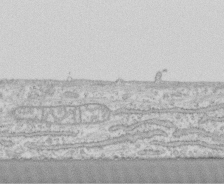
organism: Human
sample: CRL-1474